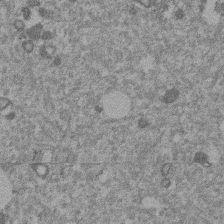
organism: Mouse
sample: Dividing mouse embryo 1 cell stage